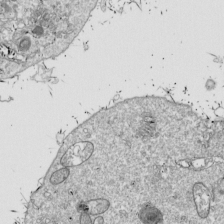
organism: Drosophila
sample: Cell division; meiosis; drosophila spermatocytes